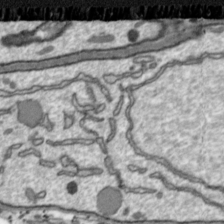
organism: Toxoplasma gondii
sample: Parasites in a vacuole inside a host cell